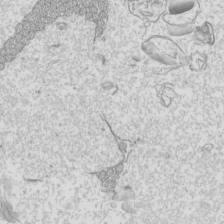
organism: Mouse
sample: Cilia; mouse epididymis